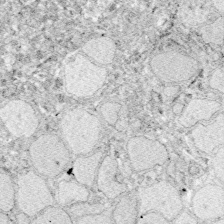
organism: Zebrafish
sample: Whole-Brain